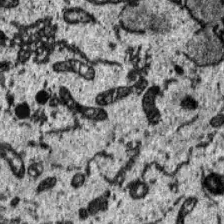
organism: Human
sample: HeLa cells